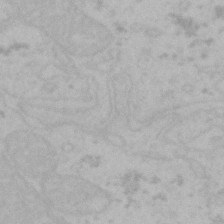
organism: Mouse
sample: Choroid plexus